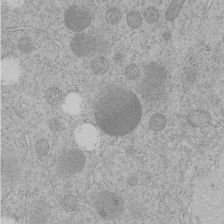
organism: C. elegans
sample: C. elegans embryo early stage